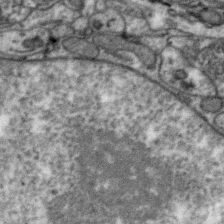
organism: Zebra finch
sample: Brain